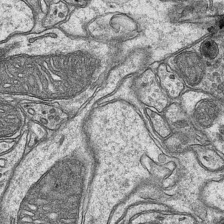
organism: Mouse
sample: CA1 Hippocampus